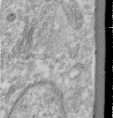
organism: Human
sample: Centriole in RPE cells